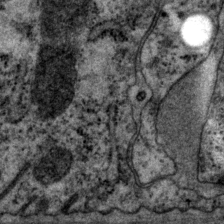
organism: P. pacificus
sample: Pharynx